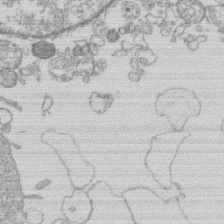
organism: Human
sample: Macrophage cells